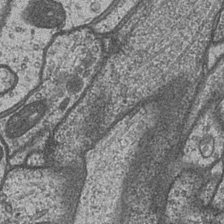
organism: Drosophila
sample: Optic medulla